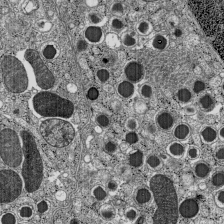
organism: C57BL Mouse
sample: Pancreatic islet